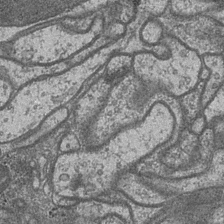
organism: Drosophila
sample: Optic medulla